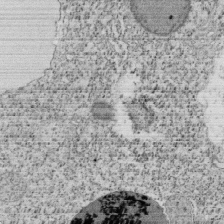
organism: Tetrahymena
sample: Cilia in tetrahymena